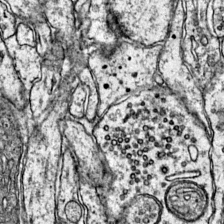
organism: Mouse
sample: Primary visual cortex